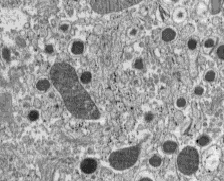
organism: C57BL Mouse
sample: Pancreatic islet